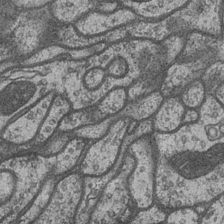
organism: Drosophila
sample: Optic medulla